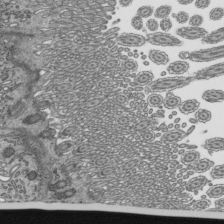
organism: Mouse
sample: Mouse epididymis efferent ductule cilia